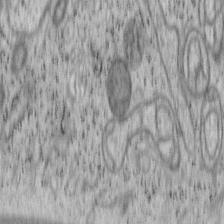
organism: Human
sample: HeLa cells